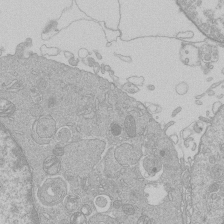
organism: Human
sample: Macrophage cells